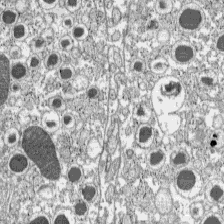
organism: C57BL Mouse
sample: Pancreatic islet